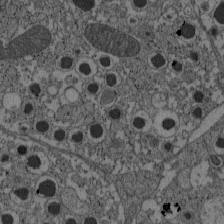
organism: C57BL Mouse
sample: Pancreatic islet